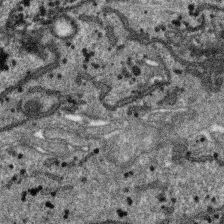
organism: Human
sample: Lung epithelial cells infected with SARS-CoV-2